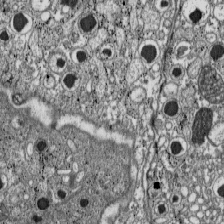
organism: C57BL Mouse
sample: Pancreatic islet